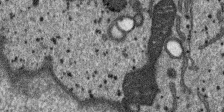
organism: Human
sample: Lung epithelial cells infected with SARS-CoV-2